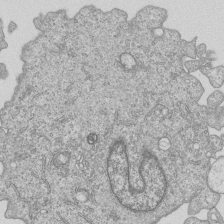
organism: Human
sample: MDA-MB-231 cells